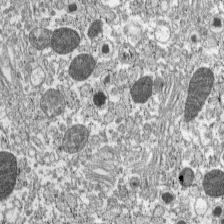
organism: C57BL Mouse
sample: Pancreatic islet